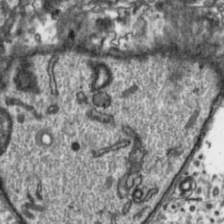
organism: Toxoplasma gondii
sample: Parasites in a vacuole inside a host cell